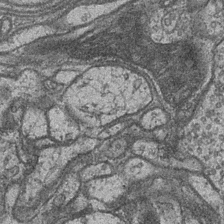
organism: Drosophila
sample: Optic medulla